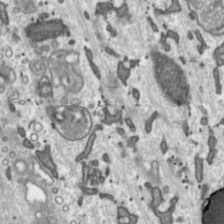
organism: Toxoplasma gondii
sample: Parasites in a vacuole inside a host cell